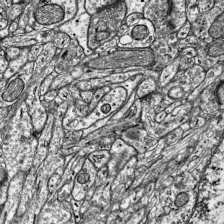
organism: Mouse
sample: Visual Cortex